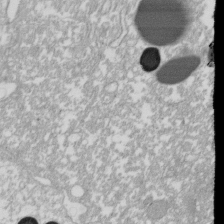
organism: Xenopus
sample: Cilia; centrioles in frog embryo cells